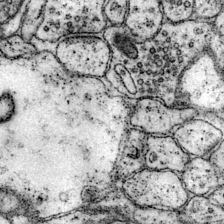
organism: Mouse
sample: Primary visual cortex